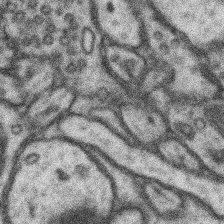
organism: Mouse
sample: Somatosensory cortex neuropil